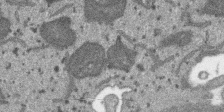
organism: Human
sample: Lung epithelial cells infected with SARS-CoV-2